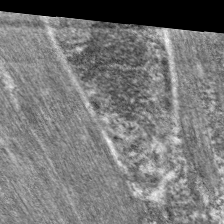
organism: C. elegans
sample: Pharynx